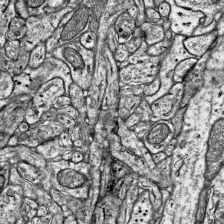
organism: Mouse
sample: Visual Cortex